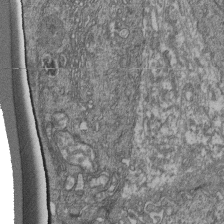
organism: Human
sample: Retinal organoid Rod and Cone cells